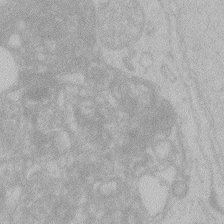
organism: Zebrafish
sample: Macrophage infected with Toxoplasma gondii